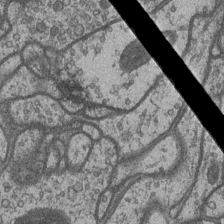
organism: Drosophila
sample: Optic medulla